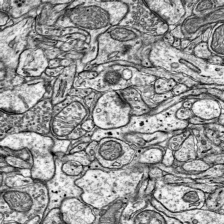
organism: Mouse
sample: Visual Cortex